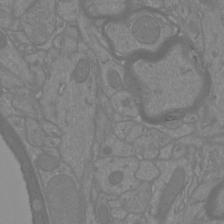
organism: Mouse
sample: Cortical neurons